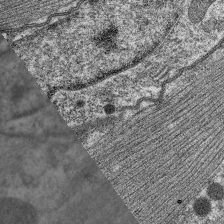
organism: C. elegans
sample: Pharynx